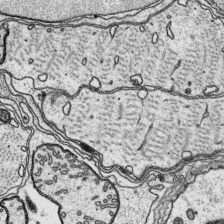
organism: Platynereis dumerilii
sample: Parapodia